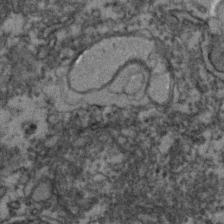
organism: Zebrafish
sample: Zebrafish embryo